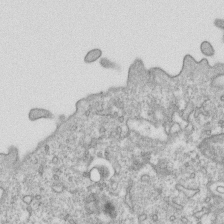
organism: Mouse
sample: Activated OT-1 CD8+ T cells